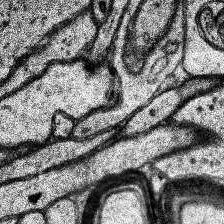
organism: Human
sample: Temporal Lobe